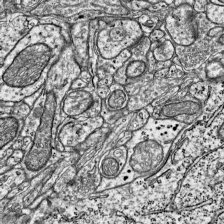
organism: Mouse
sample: Visual Cortex